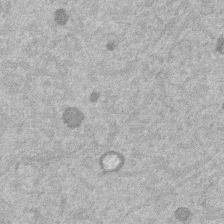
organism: Mouse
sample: Dividing mouse embryo 1 cell stage